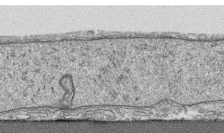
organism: Human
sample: CRL-1474